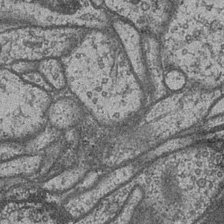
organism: Drosophila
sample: Optic medulla